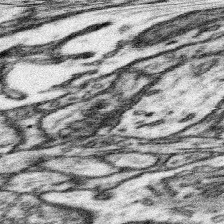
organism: Mouse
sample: Somatosensory cortex neuropil